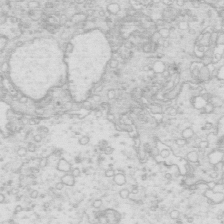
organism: Mouse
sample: Multiciliated cells